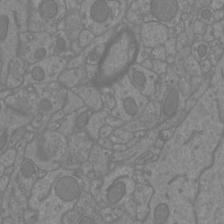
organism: Mouse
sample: Cortical neurons